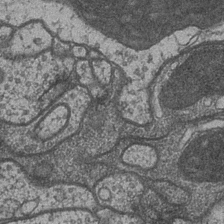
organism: Drosophila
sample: Optic medulla